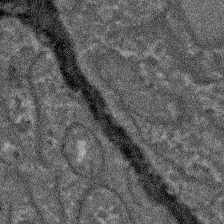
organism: Arabidopsis thaliana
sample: Root tip